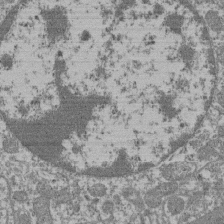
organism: Mouse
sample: Glomerulus